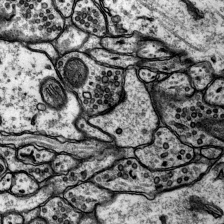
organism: Rat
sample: Hippocampus